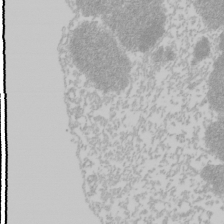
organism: Mouse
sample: Cancer cell death in ED-1 cells